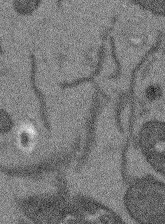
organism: Arabidopsis thaliana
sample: Root tip